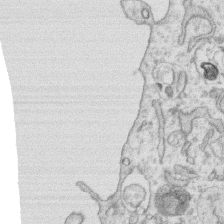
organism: Human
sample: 1205lu cells